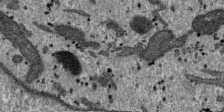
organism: Human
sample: Lung epithelial cells, uninfected (mock) control